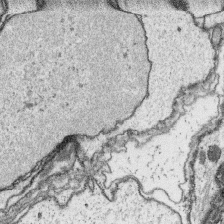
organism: Platynereis dumerilii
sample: Parapodia